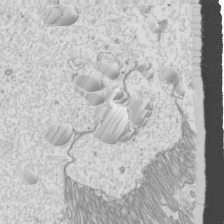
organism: Mouse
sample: Cilia; mouse epididymis